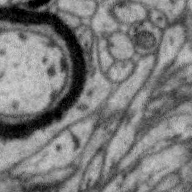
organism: Zebra finch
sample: Brain